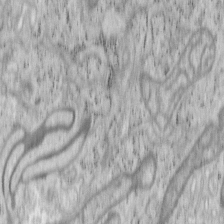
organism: Human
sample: HeLa cells